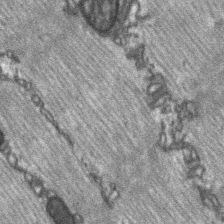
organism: C57BL Mouse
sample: Soleus